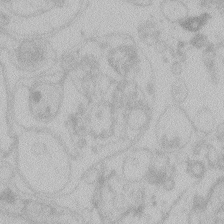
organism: Zebrafish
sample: Macrophage infected with Toxoplasma gondii